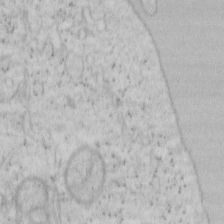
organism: Human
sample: HeLa cells